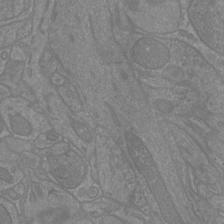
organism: Mouse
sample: Cortical neurons